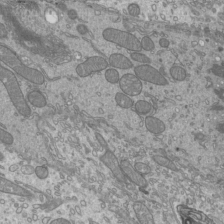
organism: Mouse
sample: Cilia; mouse epididymis